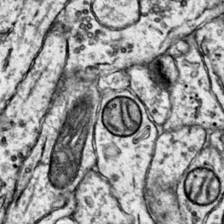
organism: Mouse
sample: Primary visual cortex